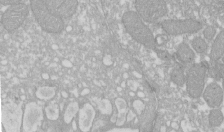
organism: Xenopus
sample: Cilia; centrioles in frog embryo cells